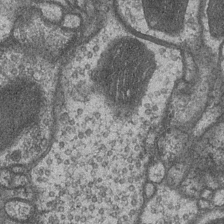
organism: Drosophila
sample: Optic medulla